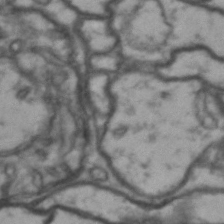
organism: Drosophila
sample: Brain